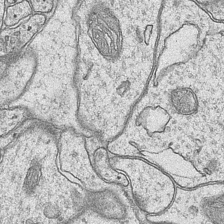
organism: Mouse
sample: CA1 Hippocampus